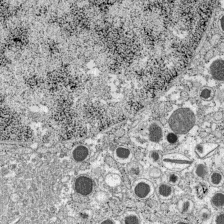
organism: C57BL Mouse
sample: Pancreatic islet